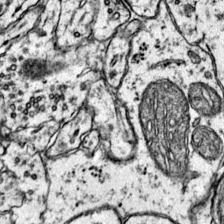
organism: Mouse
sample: Primary visual cortex